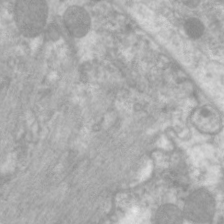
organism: C. elegans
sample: Pharynx